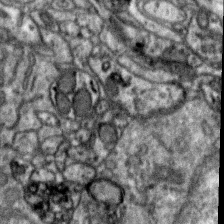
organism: Zebra finch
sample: Brain